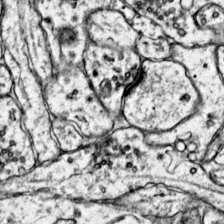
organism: Mouse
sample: Primary visual cortex